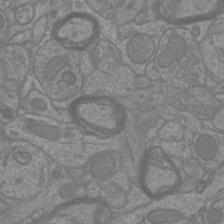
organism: Mouse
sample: Cortical neurons